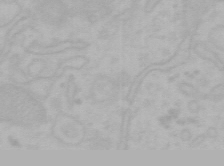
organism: Mouse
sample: Choroid plexus